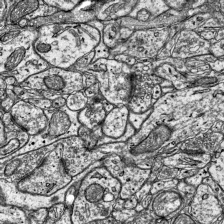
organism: Mouse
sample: Visual Cortex